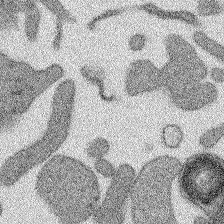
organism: Human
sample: HeLa cells